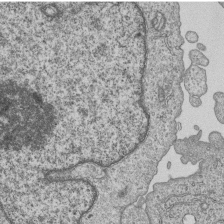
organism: Human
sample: MDA-MB-231 cells